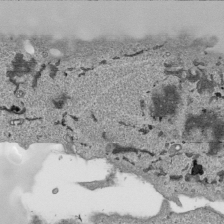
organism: Human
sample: Mitochondria in HCT116 cells